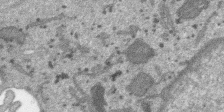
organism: Human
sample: Lung epithelial cells infected with SARS-CoV-2